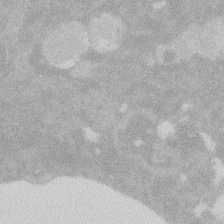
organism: Zebrafish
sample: Macrophage